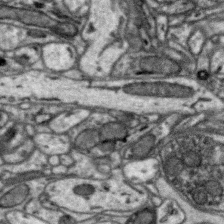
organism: Zebra finch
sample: Brain